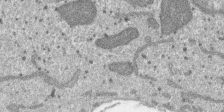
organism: Human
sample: Lung epithelial cells infected with SARS-CoV-2